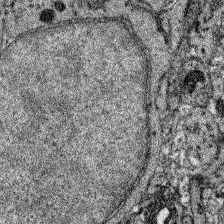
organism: Zebrafish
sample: Larval olfactory bulb